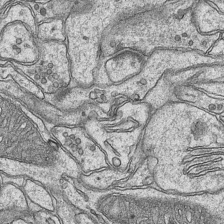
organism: Mouse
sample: CA1 Hippocampus